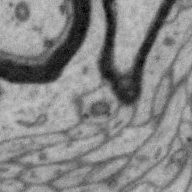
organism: Zebra finch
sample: Brain